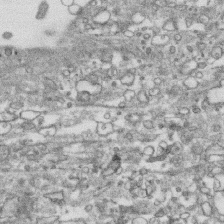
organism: Human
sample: CRL-1474